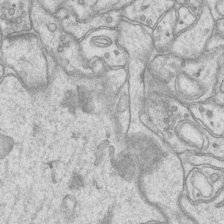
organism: Mouse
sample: CA1 Hippocampus